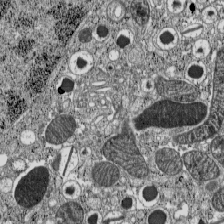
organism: C57BL Mouse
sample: Pancreatic islet